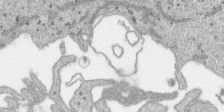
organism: Human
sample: Lung epithelial cells infected with SARS-CoV-2